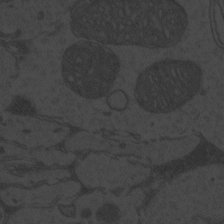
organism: Zebrafish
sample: Macrophage infected with Toxoplasma gondii